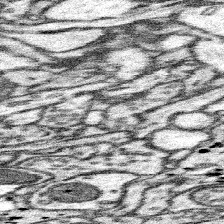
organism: Mouse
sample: Somatosensory cortex neuropil